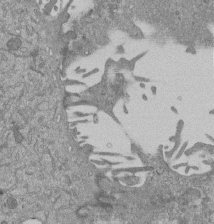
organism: Mouse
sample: ED-1 cell nuclei; centrioles